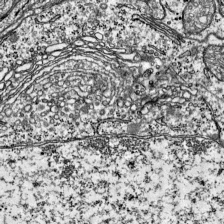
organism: Mouse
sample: Visual Cortex